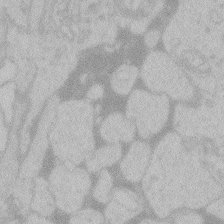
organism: Zebrafish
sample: Macrophage infected with Toxoplasma gondii